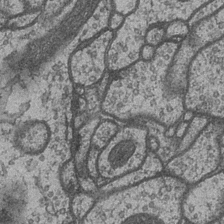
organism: Drosophila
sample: Optic medulla